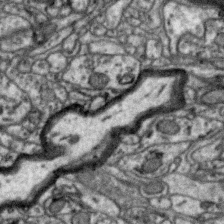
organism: Zebra finch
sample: Brain